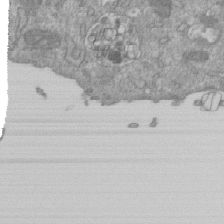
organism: Mouse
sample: ED-1 cell nuclei; centrioles